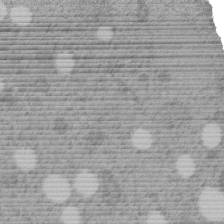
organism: C. elegans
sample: C. elegans embryo early stage